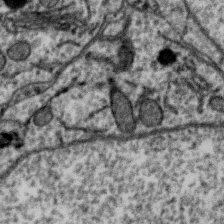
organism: Zebra finch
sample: Brain